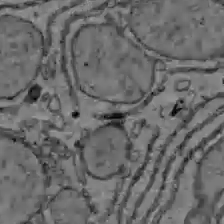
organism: C57BL Mouse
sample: Liver